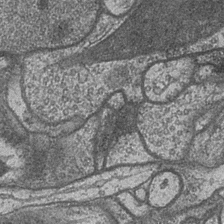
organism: Drosophila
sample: Optic medulla